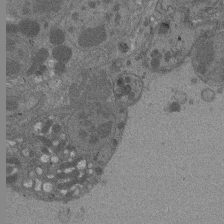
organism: Drosophila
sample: Antenna